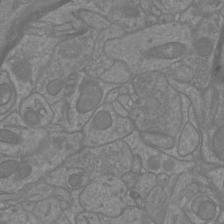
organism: Mouse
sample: Cortical neurons